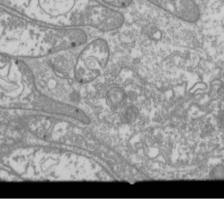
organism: Drosophila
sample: Cell division; meiosis; drosophila spermatocytes